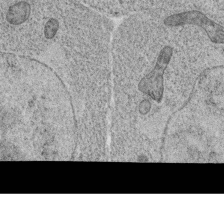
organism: C. elegans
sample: C. elegans oocyte; sperm cells